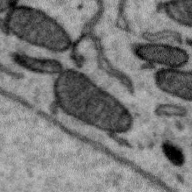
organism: Zebra finch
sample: Brain